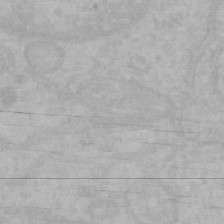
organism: Mouse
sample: Choroid plexus